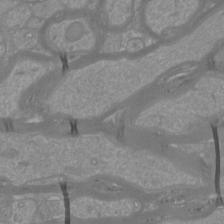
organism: Mouse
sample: Cortical neurons